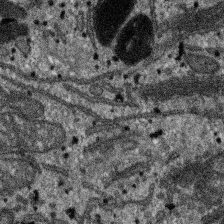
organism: Human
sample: Lung epithelial cells infected with SARS-CoV-2